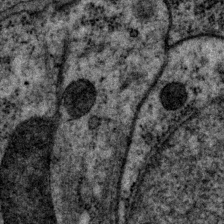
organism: P. pacificus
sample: Pharynx